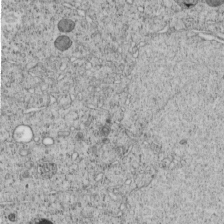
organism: C. elegans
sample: C. elegans embryo early stage